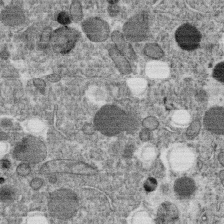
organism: C. elegans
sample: C. elegans oocyte; sperm cells